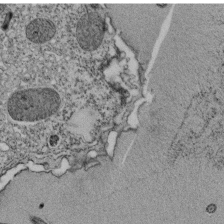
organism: Tetrahymena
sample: Cilia in tetrahymena